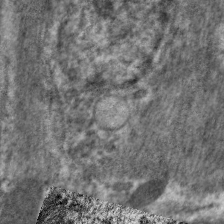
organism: C. elegans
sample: Pharynx